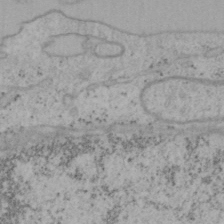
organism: Human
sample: HeLa cells